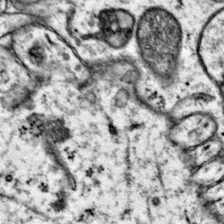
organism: Mouse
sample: Primary visual cortex